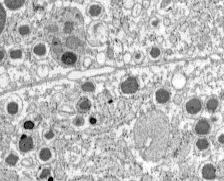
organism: C57BL Mouse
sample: Pancreatic islet